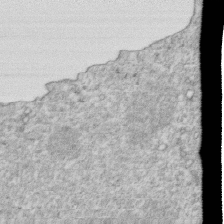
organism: Mouse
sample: Activated OT-1 CD8+ T cells